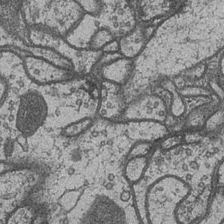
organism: Drosophila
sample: Optic medulla